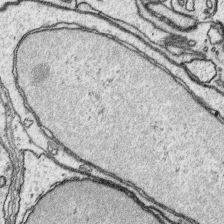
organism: Platynereis dumerilii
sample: Parapodia